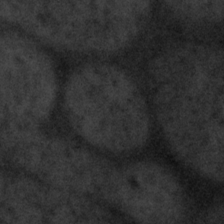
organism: Tuwongella immobilis